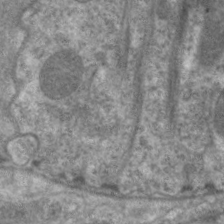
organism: C. elegans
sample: Pharynx